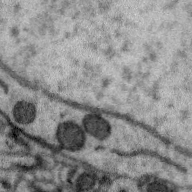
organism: Zebra finch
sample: Brain